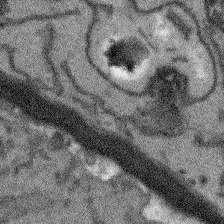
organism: Arabidopsis thaliana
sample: Root tip